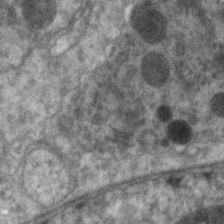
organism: C. elegans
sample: Pharynx